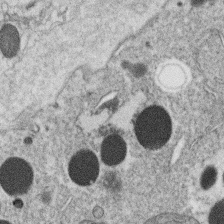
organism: C. elegans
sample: C. elegans oocyte; sperm cells